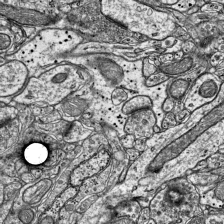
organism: Mouse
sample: Visual Cortex